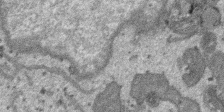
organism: Human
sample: Lung epithelial cells infected with SARS-CoV-2